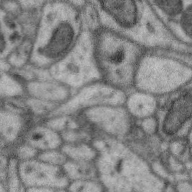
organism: Zebra finch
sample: Brain